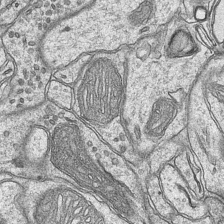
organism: Mouse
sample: CA1 Hippocampus